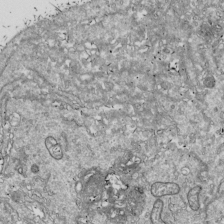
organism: Drosophila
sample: Cell division; meiosis; drosophila spermatocytes